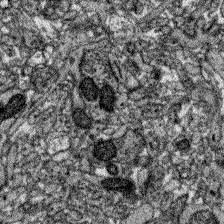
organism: Zebrafish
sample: Larval olfactory bulb